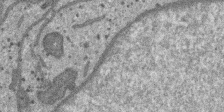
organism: Human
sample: Lung epithelial cells infected with SARS-CoV-2